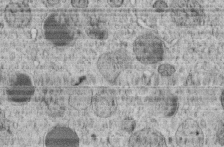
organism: C. elegans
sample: C. elegans embryo early stage